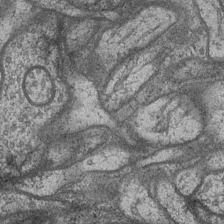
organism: Drosophila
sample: Optic medulla